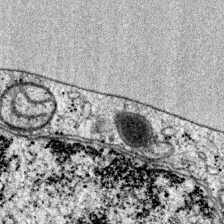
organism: Human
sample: HeLa cells